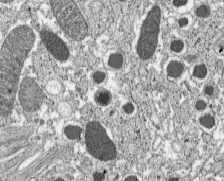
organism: C57BL Mouse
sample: Pancreatic islet